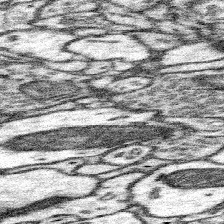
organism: Mouse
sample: Somatosensory cortex neuropil